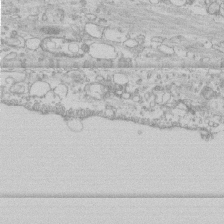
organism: Human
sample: CRL-1474